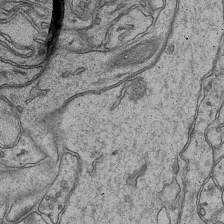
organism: Mouse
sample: CA1 Hippocampus